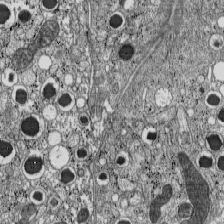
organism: C57BL Mouse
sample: Pancreatic islet